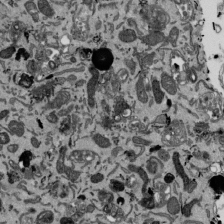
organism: Mouse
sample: ED-1 cell nuclei; centrioles